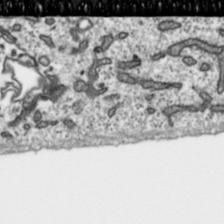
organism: Toxoplasma gondii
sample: Parasites in a vacuole inside a host cell